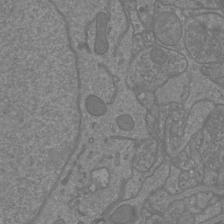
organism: Mouse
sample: Cortical neurons